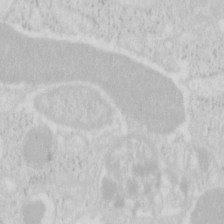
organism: Mouse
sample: Pancreas